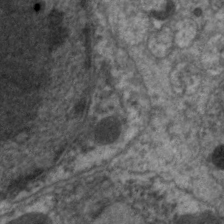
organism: C. elegans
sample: Pharynx